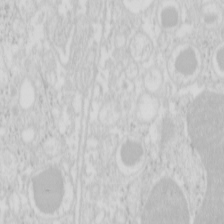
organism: Mouse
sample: Pancreas